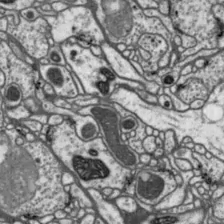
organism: Drosophila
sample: Protocerebral bridge